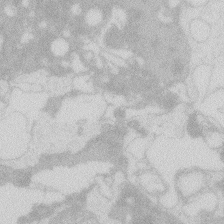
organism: Zebrafish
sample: Macrophage